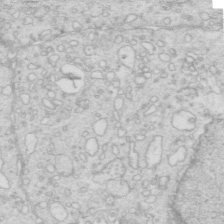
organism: Mouse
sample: Multiciliated cells